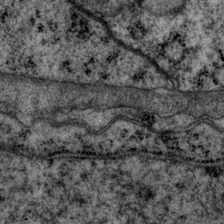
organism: P. pacificus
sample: Pharynx